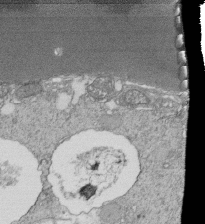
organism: Tetrahymena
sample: Cilia in tetrahymena